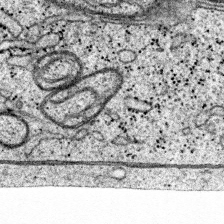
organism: Human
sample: HeLa cells